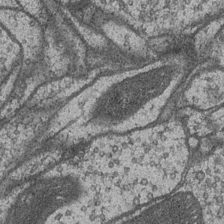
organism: Drosophila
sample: Optic medulla